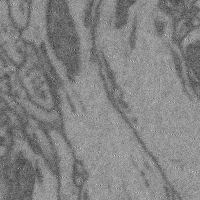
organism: Mouse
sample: Cerebral cortex